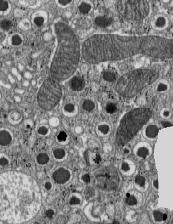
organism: C57BL Mouse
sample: Pancreatic islet